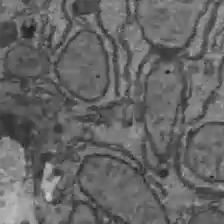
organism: C57BL Mouse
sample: Liver